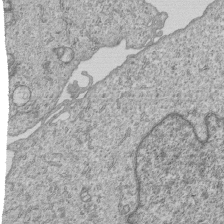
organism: Human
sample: MDA-MB-231 cells